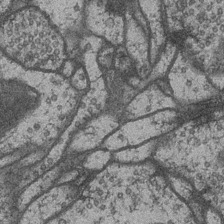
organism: Drosophila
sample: Optic medulla